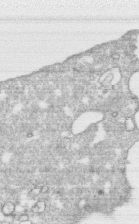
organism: Human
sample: CRL-1474